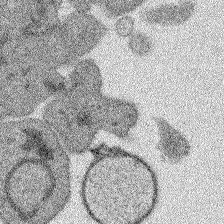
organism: Human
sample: HeLa cells